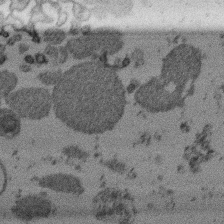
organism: Mouse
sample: Dividing mouse embryo 1 cell stage